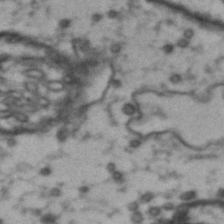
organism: Drosophila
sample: Brain